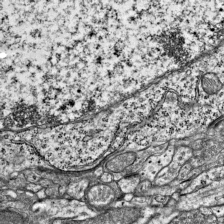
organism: Mouse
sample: Visual Cortex